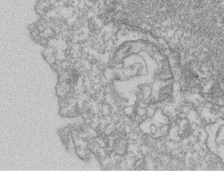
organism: Mouse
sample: T cell stromal cell synapse